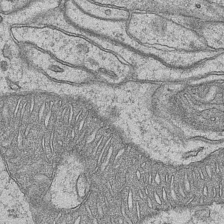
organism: Mouse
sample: CA1 Hippocampus